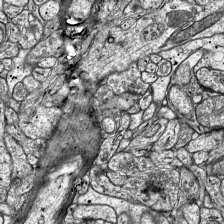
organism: Mouse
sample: Visual Cortex